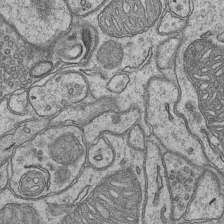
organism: Mouse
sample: CA1 Hippocampus